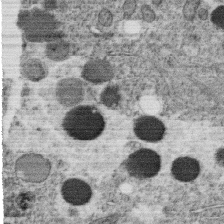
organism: C. elegans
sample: C. elegans oocyte; sperm cells